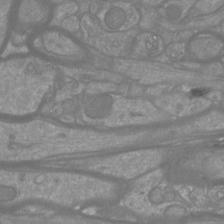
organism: Mouse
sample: Cortical neurons